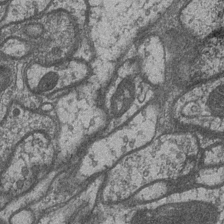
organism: Drosophila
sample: Optic medulla